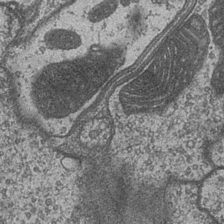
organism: Drosophila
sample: Optic medulla